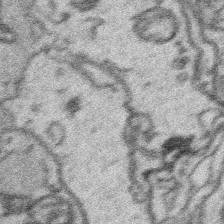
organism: Platynereis dumerilii